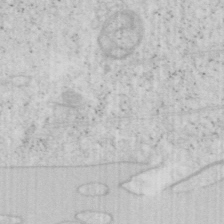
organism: Human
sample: HeLa cells